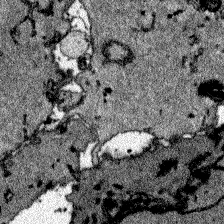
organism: Zebrafish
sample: Larval olfactory bulb